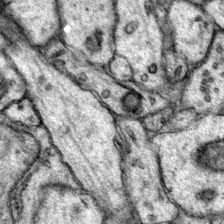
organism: Mouse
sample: Primary visual cortex